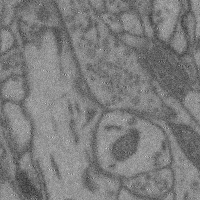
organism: Mouse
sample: Cerebral cortex